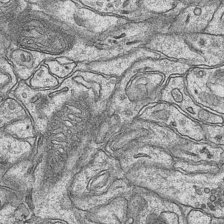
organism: Mouse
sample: CA1 Hippocampus